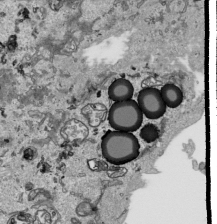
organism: Human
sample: Mitochondria in HCT116 cells